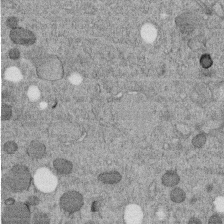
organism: C. elegans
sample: C. elegans embryo early stage